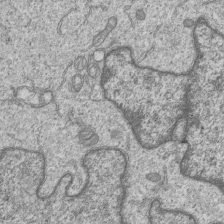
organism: Human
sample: MDA-MB-231 cells